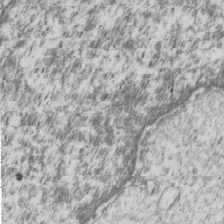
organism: Human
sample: MDA-MB-231 cells